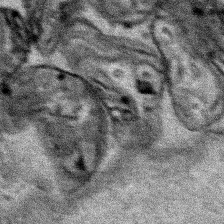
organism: Human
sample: Mitochondria in HCT116 cells